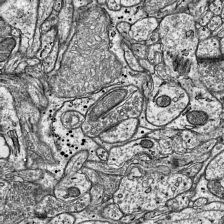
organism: Mouse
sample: Visual Cortex